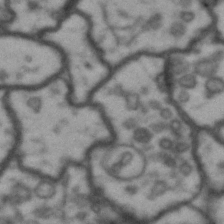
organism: Drosophila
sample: Brain